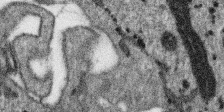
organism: Human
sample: Lung epithelial cells infected with SARS-CoV-2